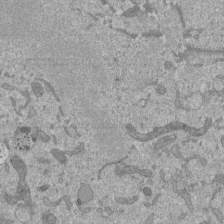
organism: Mouse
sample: ED-1 cell nuclei; centrioles